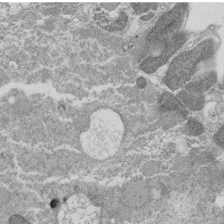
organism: Tetrahymena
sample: Cilia in tetrahymena